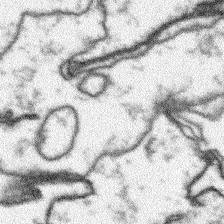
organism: Arabidopsis thaliana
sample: Root tip